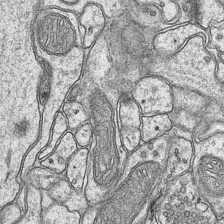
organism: Mouse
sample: CA1 Hippocampus